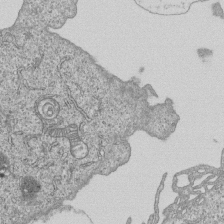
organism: Human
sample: MDA-MB-231 cells